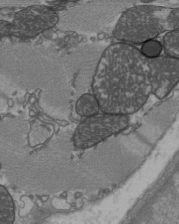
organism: C57BL Mouse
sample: Heart